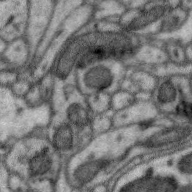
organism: Zebra finch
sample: Brain